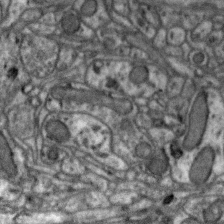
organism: Zebra finch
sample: Brain